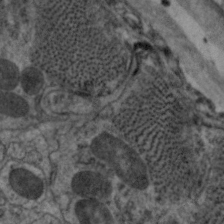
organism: C. elegans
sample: Pharynx